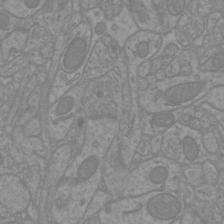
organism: Mouse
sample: Cortical neurons